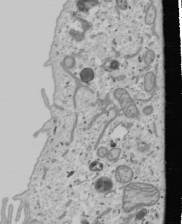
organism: Human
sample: Mitochondria in U2OS cells